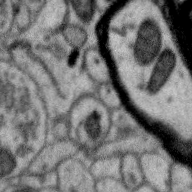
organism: Zebra finch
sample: Brain